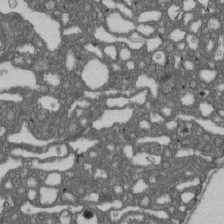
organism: Drosophila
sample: Nephrocyte